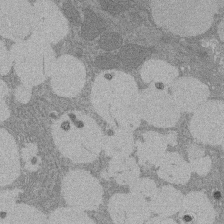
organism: Rat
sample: Salivary granule